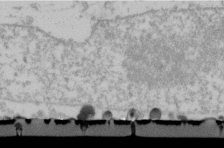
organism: Human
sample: U2-OS cells